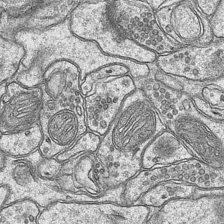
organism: Mouse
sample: CA1 Hippocampus